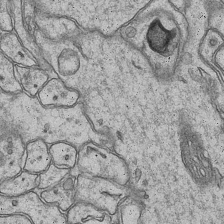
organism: Mouse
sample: CA1 Hippocampus